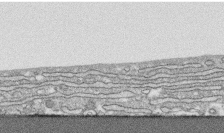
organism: Human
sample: CRL-1474